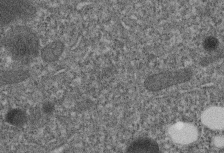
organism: C. elegans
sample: C. elegans embryo early stage